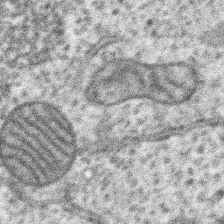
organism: Human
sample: HeLa cells